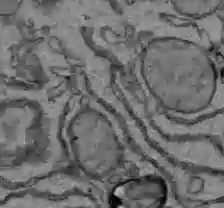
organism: C57BL Mouse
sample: Liver